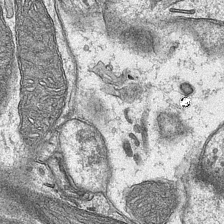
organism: Mouse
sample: CA1 Hippocampus